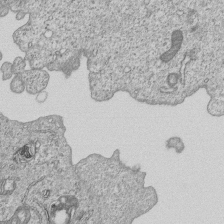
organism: Human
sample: MDA-MB-231 cells